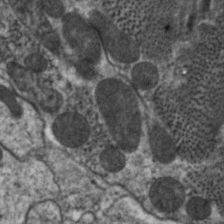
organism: C. elegans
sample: Pharynx